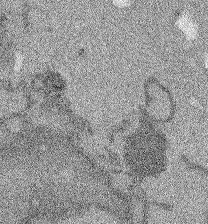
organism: Human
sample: HeLa cells